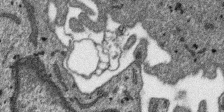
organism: Human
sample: Lung epithelial cells infected with SARS-CoV-2